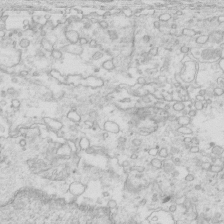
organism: Mouse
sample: Multiciliated cells